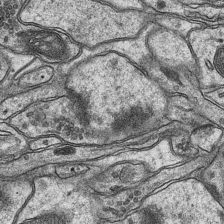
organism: Mouse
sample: CA1 Hippocampus